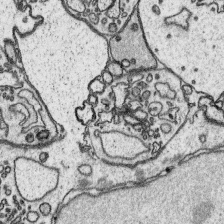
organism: Platynereis dumerilii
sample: Parapodia